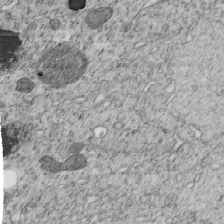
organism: C. elegans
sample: C. elegans embryo early stage